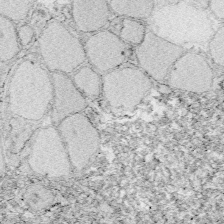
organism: Zebrafish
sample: Whole-Brain